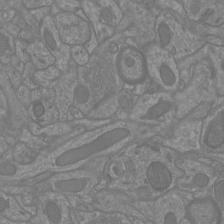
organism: Mouse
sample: Cortical neurons